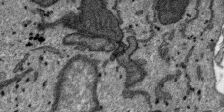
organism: Human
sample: Lung epithelial cells, uninfected (mock) control